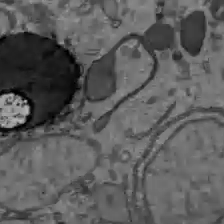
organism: C57BL Mouse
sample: Liver